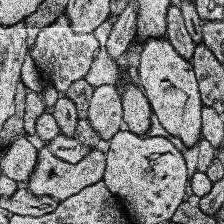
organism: Human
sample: Temporal Lobe